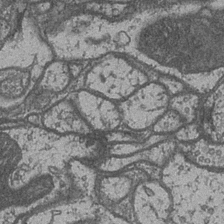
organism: Drosophila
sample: Optic medulla